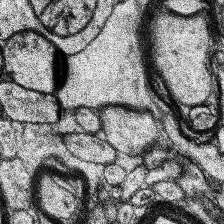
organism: Human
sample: Temporal Lobe